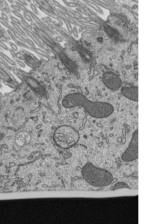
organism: Mouse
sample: Mouse epididymis efferent ductule cilia